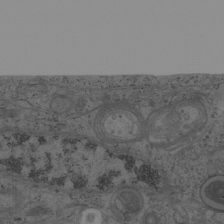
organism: Human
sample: HeLa cells